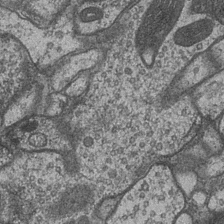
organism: Drosophila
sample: Optic medulla